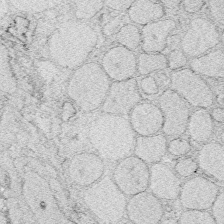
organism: Zebrafish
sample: Whole-Brain